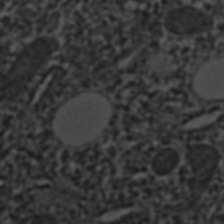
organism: C. elegans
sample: C. elegans embryo